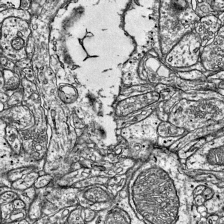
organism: Mouse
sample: Visual Cortex